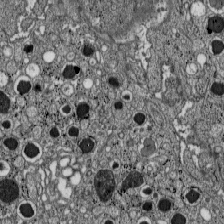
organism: C57BL Mouse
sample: Pancreatic islet